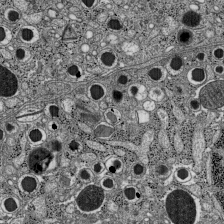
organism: C57BL Mouse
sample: Pancreatic islet